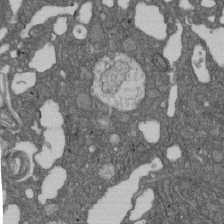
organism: Drosophila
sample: Nephrocyte